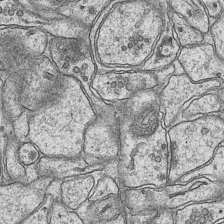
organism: Mouse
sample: CA1 Hippocampus